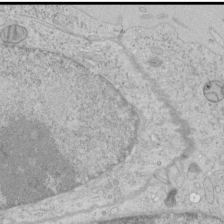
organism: Human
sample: Mitochondria in HCT116 cells